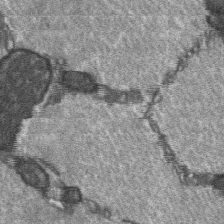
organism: C57BL Mouse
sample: Soleus